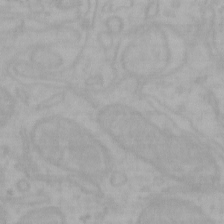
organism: Mouse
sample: Choroid plexus